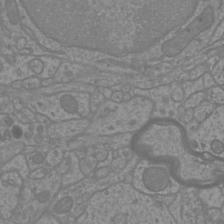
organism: Mouse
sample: Cortical neurons